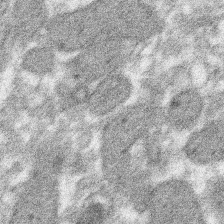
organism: Xenopus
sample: Cilia; centrioles in frog embryo cells